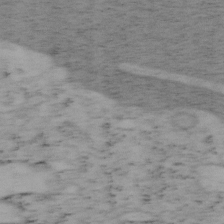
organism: Mouse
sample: OT-I killer T cells with ID8 ovarian cancer cells